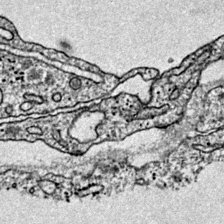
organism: Mouse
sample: Primary visual cortex